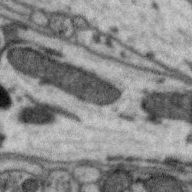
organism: Zebra finch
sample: Brain